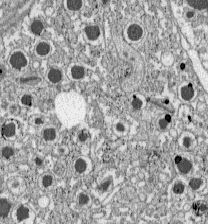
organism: C57BL Mouse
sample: Pancreatic islet